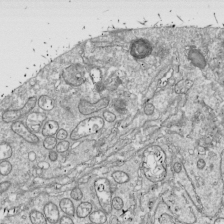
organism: Drosophila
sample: Cell division; meiosis; drosophila spermatocytes